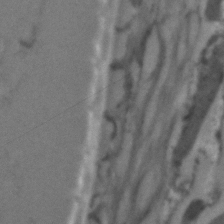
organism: C. elegans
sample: C. elegans embryo